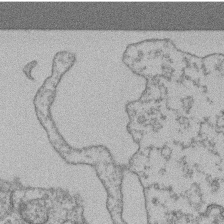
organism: Mouse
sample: T cell stromal cell synapse